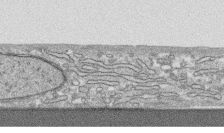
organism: Human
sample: CRL-1474